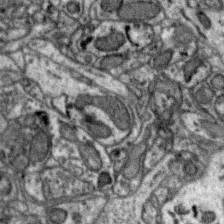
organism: Zebra finch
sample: Brain